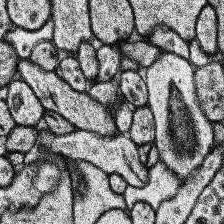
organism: Human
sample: Temporal Lobe